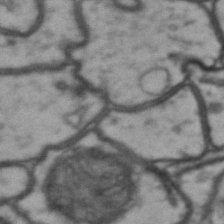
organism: Drosophila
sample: Brain